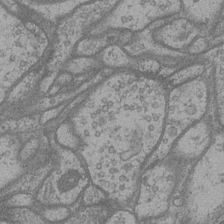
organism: Drosophila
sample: Optic medulla